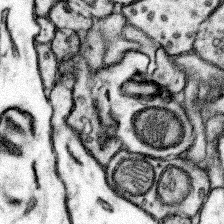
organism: Mouse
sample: Somatosensory cortex neuropil